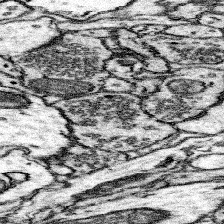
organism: Mouse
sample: Somatosensory cortex neuropil